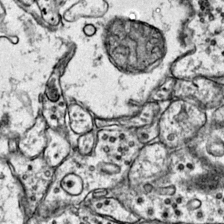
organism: Mouse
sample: Primary visual cortex